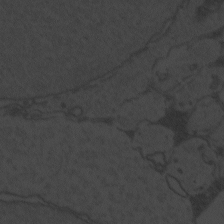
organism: Zebrafish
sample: Macrophage infected with Toxoplasma gondii